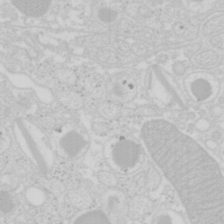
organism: Mouse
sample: Pancreas